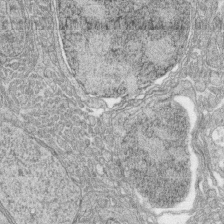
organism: Zebrafish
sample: synaptic ribbons in rod cells and cone cells